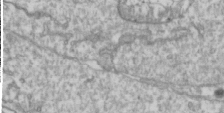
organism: Drosophila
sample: Cell division; meiosis; drosophila spermatocytes